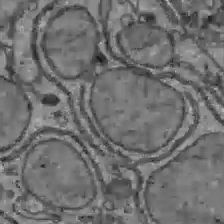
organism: C57BL Mouse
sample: Liver